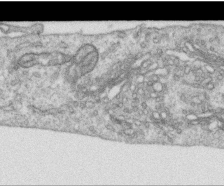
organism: Human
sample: Centriole in RPE cells